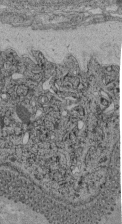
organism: C. elegans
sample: C. elegans pharynx